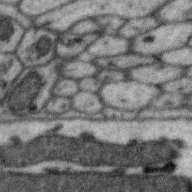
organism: Zebra finch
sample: Brain